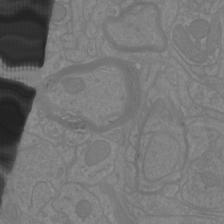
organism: Mouse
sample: Cortical neurons